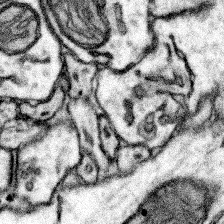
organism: Mouse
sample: Somatosensory cortex neuropil